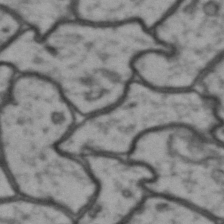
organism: Drosophila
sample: Brain